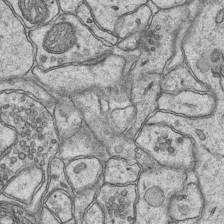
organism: Mouse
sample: CA1 Hippocampus